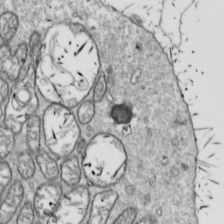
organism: Drosophila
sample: Cell division; meiosis; drosophila spermatocytes